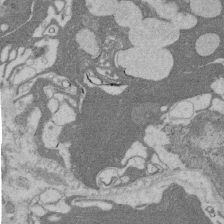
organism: Rat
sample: Salivary granule